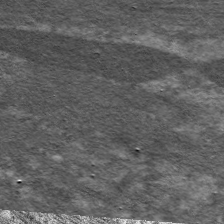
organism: C. elegans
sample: Pharynx